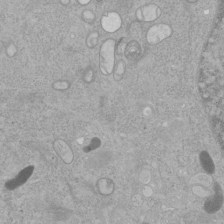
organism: Human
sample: Mitochondria in HCT116 cells